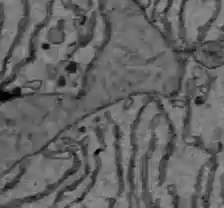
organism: C57BL Mouse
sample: Liver